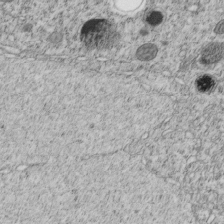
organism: C. elegans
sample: C. elegans embryo early stage